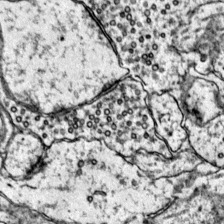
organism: Mouse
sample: Primary visual cortex